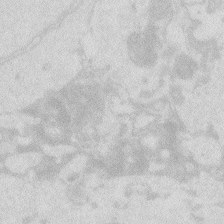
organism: Zebrafish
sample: Macrophage